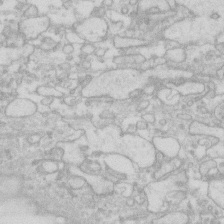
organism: Human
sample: Fibroblast cells